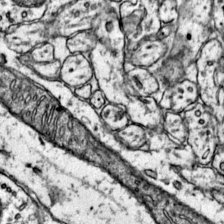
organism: Mouse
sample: Primary visual cortex